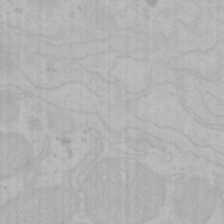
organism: Mouse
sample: Choroid plexus